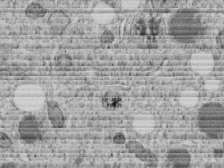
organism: C. elegans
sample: C. elegans embryo early stage